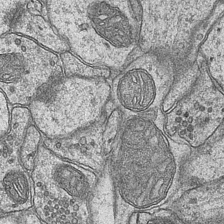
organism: Mouse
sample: CA1 Hippocampus